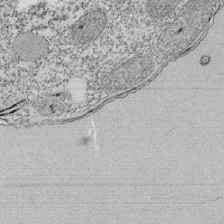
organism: Tetrahymena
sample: Cilia in tetrahymena